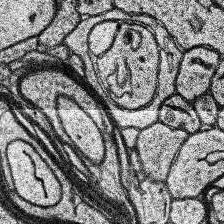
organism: Human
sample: Temporal Lobe